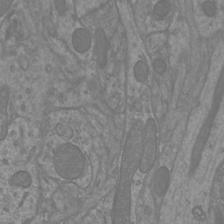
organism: Mouse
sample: Cortical neurons